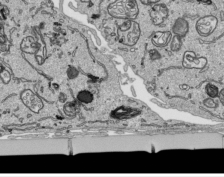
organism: Human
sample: Mitochondria in HCT116 cells